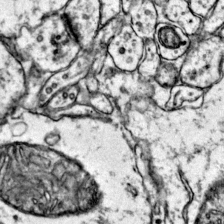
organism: Mouse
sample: Primary visual cortex